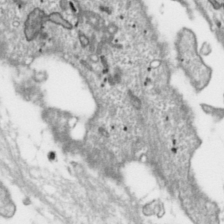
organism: Toxoplasma gondii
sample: Parasites in a vacuole inside a host cell